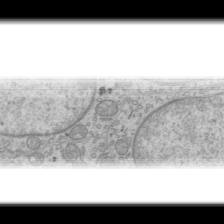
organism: Mouse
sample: Cilia; mouse epididymis